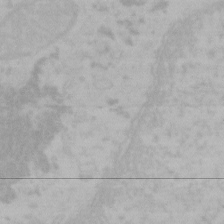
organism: Mouse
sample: Choroid plexus